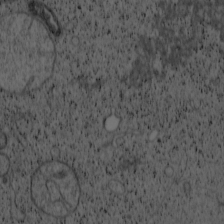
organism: African green monkey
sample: COS-7 cells